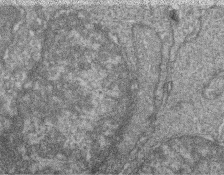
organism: Zebrafish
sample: Cilia; retinal pigment epithelium